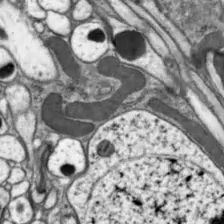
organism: Drosophila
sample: Optic lobe